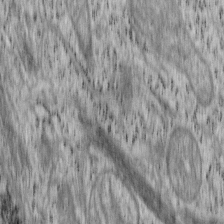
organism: Human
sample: HeLa cells